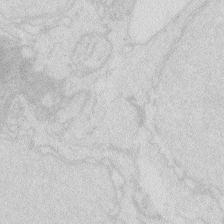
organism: Zebrafish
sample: Macrophage